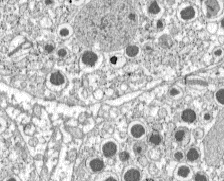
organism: C57BL Mouse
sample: Pancreatic islet